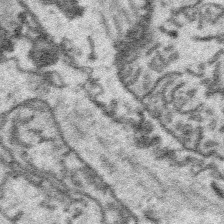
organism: Platynereis dumerilii